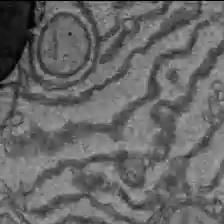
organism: C57BL Mouse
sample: Liver